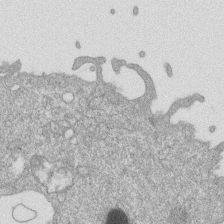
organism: Human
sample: HeLa cell HIV synapse